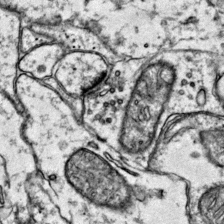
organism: Mouse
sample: Primary visual cortex